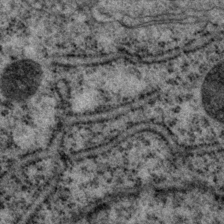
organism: P. pacificus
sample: Pharynx